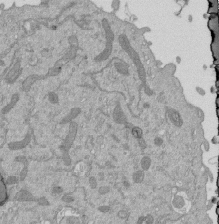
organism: Mouse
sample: ED-1 cell nuclei; centrioles